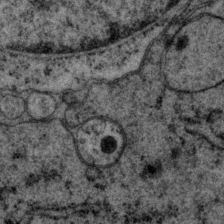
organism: P. pacificus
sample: Pharynx